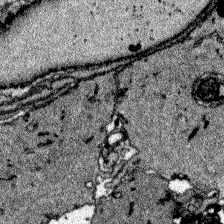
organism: Zebrafish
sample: Larval olfactory bulb